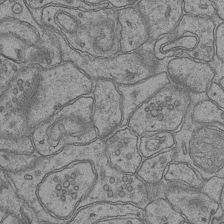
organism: Mouse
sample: CA1 Hippocampus